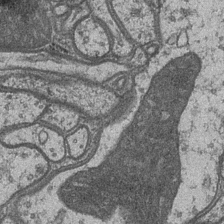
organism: Drosophila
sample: Optic medulla